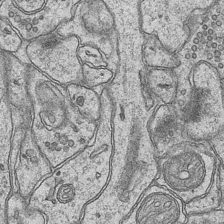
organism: Mouse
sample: CA1 Hippocampus